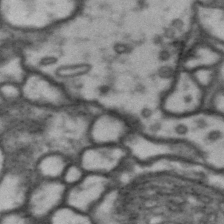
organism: Drosophila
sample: Brain